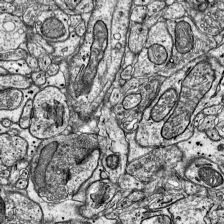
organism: Mouse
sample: Visual Cortex